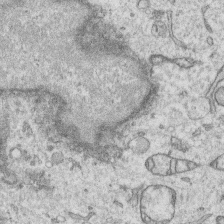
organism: Human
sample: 1205lu cells